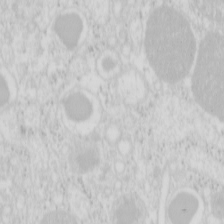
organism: Mouse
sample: Pancreas